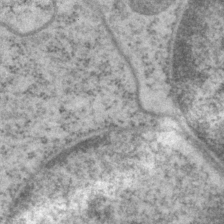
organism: P. pacificus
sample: Pharynx